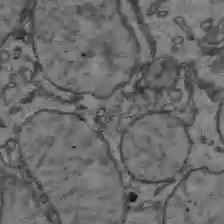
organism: C57BL Mouse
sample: Liver